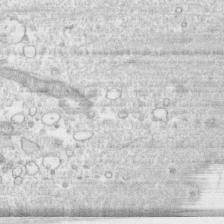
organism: Human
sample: CRL-1474